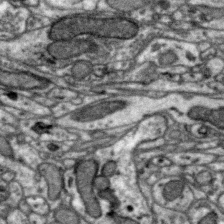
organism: Zebra finch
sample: Brain